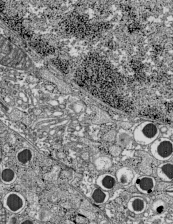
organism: C57BL Mouse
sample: Pancreatic islet